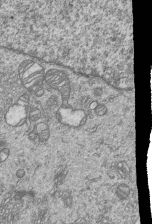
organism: Human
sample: MDA-MB-231 cells